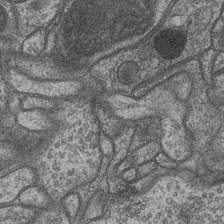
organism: Drosophila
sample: Optic medulla